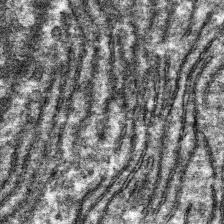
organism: Mouse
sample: Mouse hepatocytes